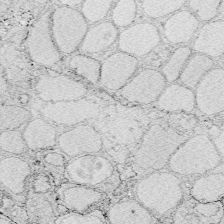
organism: Zebrafish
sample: Whole-Brain